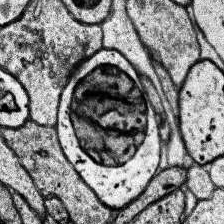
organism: Human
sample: Temporal Lobe